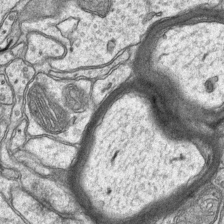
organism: Mouse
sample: CA1 Hippocampus